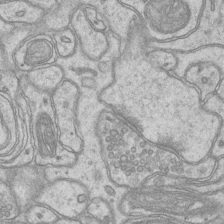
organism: Mouse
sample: CA1 Hippocampus